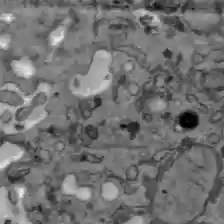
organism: C57BL Mouse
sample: Liver